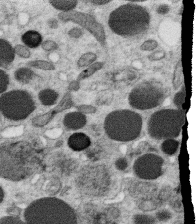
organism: C. elegans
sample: C. elegans oocyte; sperm cells